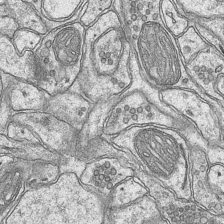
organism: Mouse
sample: CA1 Hippocampus